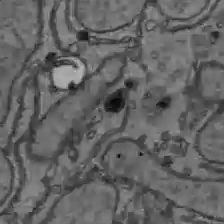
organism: C57BL Mouse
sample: Liver